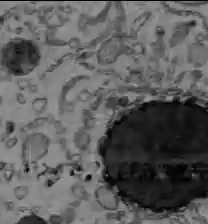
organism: C57BL Mouse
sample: Liver